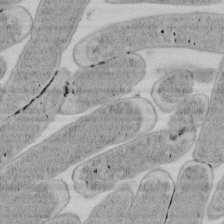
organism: E. coli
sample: Bacterial nucleoid